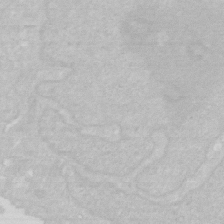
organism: Human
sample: HIV infected U937 cells